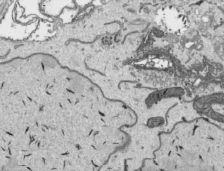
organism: Human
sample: Mitochondria in HCT116 cells